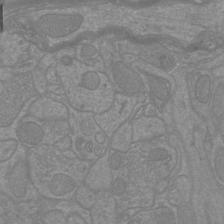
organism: Mouse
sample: Cortical neurons